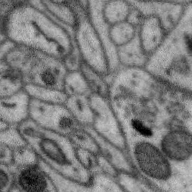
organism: Zebra finch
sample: Brain